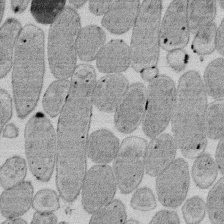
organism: E. coli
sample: Bacterial nucleoid